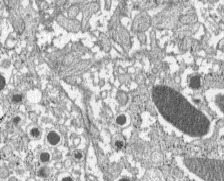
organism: C57BL Mouse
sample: Pancreatic islet